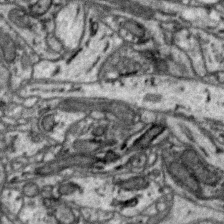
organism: Zebra finch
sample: Brain